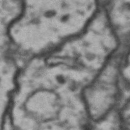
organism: Drosophila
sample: Brain